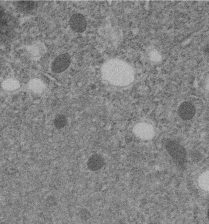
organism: C. elegans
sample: C. elegans embryo early stage